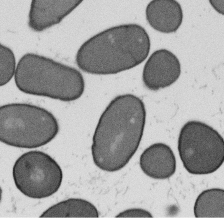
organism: B. subtilis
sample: Bacterial spore